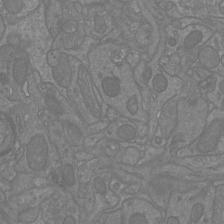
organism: Mouse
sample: Cortical neurons